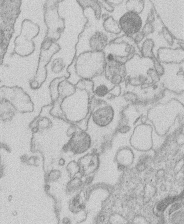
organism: Human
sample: Macrophage cells